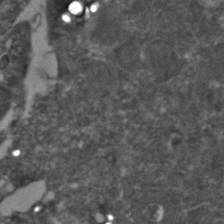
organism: Zebrafish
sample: Zebrafish embryo